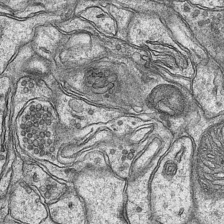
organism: Mouse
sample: CA1 Hippocampus